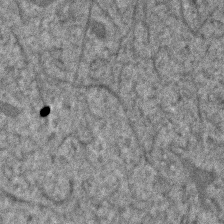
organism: Human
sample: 1205lu cells